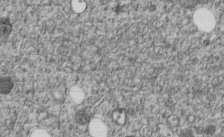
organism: C. elegans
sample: C. elegans embryo early stage